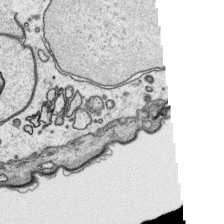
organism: Platynereis dumerilii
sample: Parapodia